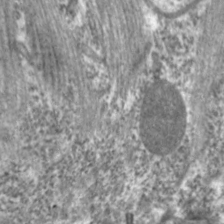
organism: C. elegans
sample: Pharynx